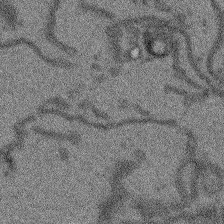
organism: Arabidopsis thaliana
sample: Root tip